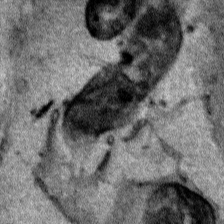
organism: Human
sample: Mitochondria in HCT116 cells